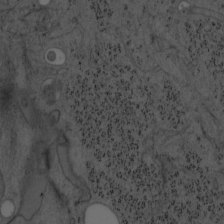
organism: Mouse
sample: OT-I killer T cells with ID8 ovarian cancer cells